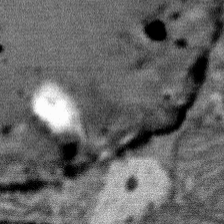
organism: Mouse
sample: Mouse Salivary gland